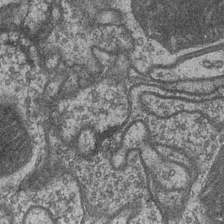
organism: Drosophila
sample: Optic medulla